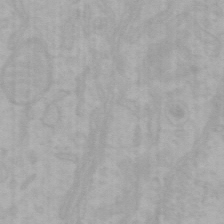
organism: Mouse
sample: Choroid plexus